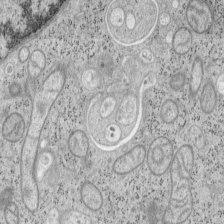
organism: Mouse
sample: OT-I killer T cells with ID8 ovarian cancer cells